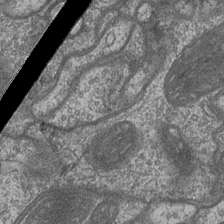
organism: Drosophila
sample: Optic medulla